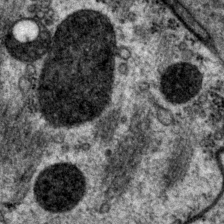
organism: P. pacificus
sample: Pharynx